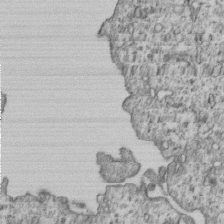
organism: Human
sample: MDA-MB-231 cells